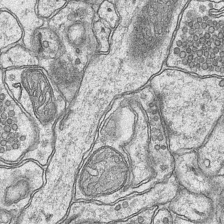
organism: Mouse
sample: CA1 Hippocampus